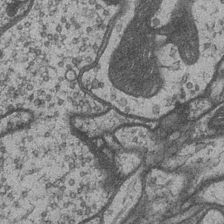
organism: Drosophila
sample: Optic medulla